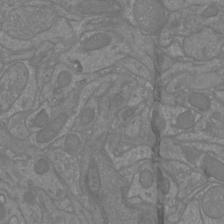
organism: Mouse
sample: Cortical neurons